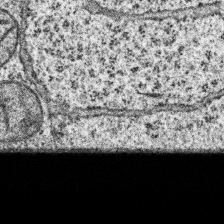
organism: Human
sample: HeLa cells